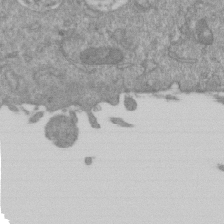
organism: Mouse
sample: ED-1 cell nuclei; centrioles